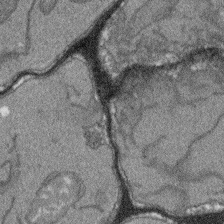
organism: Arabidopsis thaliana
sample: Root tip